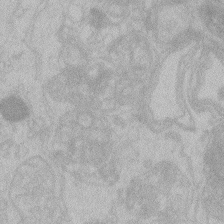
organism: Zebrafish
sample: Macrophage infected with Toxoplasma gondii